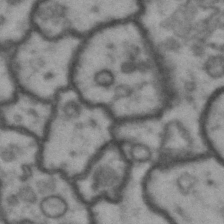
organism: Drosophila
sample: Brain